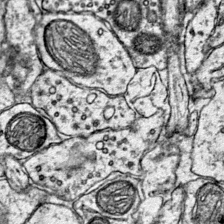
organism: Mouse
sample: Primary visual cortex